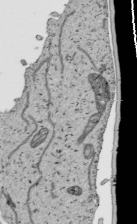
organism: Human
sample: Mitochondria in HCT116 cells